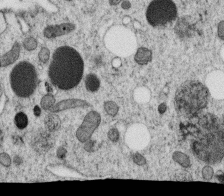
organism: C. elegans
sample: C. elegans oocyte; sperm cells